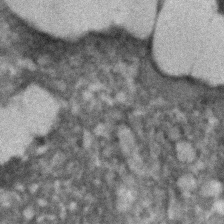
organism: C. elegans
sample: C. elegans embryo